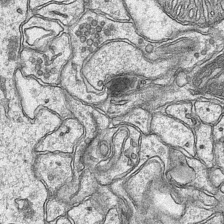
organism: Mouse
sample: CA1 Hippocampus